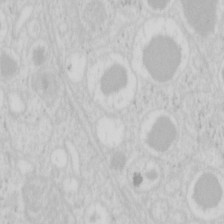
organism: Mouse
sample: Pancreas